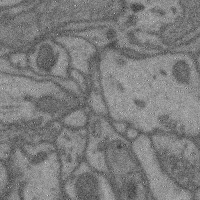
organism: Mouse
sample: Cerebral cortex